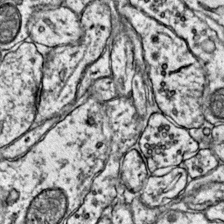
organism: Mouse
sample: Primary visual cortex